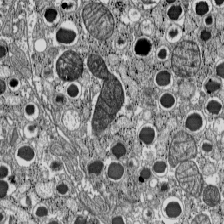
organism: C57BL Mouse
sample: Pancreatic islet